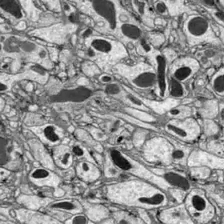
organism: Drosophila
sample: Optic lobe